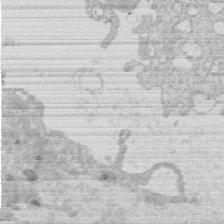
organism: Human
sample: Macrophage cells